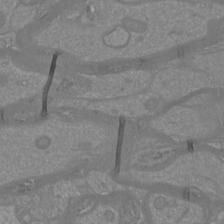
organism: Mouse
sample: Cortical neurons